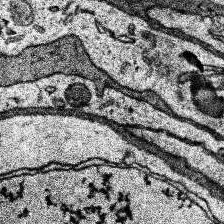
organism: Human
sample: Temporal Lobe